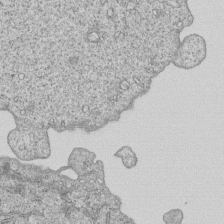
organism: Human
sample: MDA-MB-231 cells